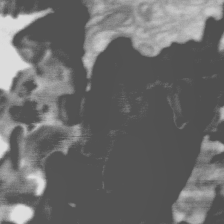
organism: Zebra finch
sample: Brain